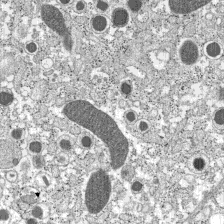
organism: C57BL Mouse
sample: Pancreatic islet